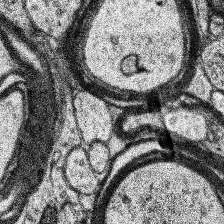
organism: Human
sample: Temporal Lobe